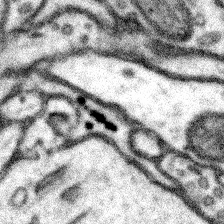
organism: Mouse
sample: Somatosensory cortex neuropil